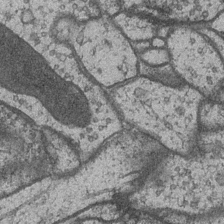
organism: Drosophila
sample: Optic medulla